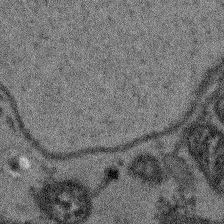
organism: Arabidopsis thaliana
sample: Root tip